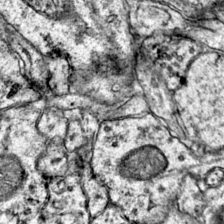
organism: Mouse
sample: Primary visual cortex